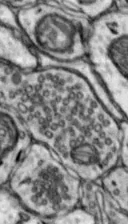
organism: Mouse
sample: Nucleus accumbens